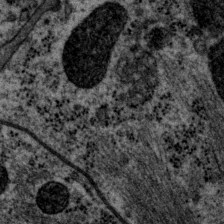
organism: P. pacificus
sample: Pharynx